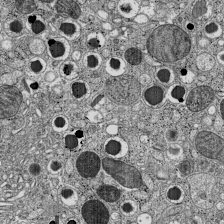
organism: C57BL Mouse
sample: Pancreatic islet